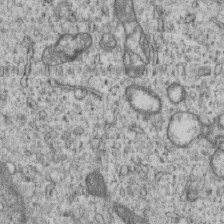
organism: Human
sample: MDA-MB-231 cells